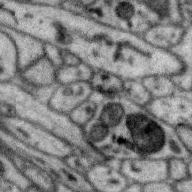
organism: Zebra finch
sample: Brain